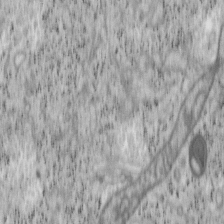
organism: Human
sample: HeLa cells